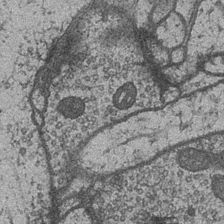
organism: Drosophila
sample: Optic medulla